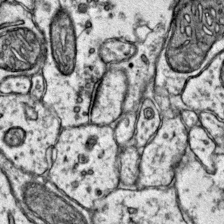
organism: Mouse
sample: Primary visual cortex